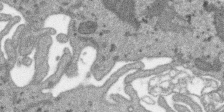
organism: Human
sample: Lung epithelial cells infected with SARS-CoV-2